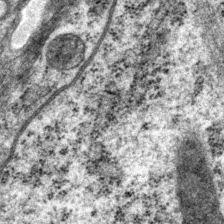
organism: P. pacificus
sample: Pharynx